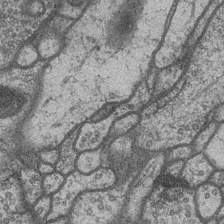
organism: Drosophila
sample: Optic medulla